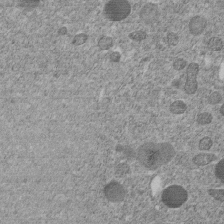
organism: C. elegans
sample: C. elegans embryo early stage